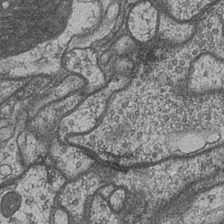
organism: Drosophila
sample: Optic medulla